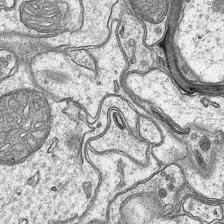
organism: Mouse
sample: CA1 Hippocampus